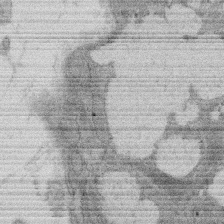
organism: Rat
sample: Salivary granule